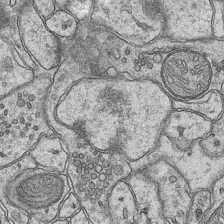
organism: Mouse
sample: CA1 Hippocampus